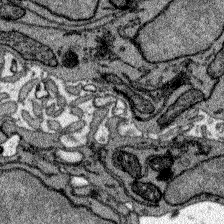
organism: Zebrafish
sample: Larval olfactory bulb